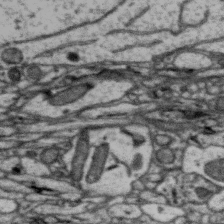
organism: Zebra finch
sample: Brain